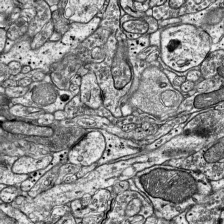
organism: Mouse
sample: Visual Cortex